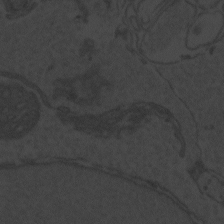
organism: Zebrafish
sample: Macrophage infected with Toxoplasma gondii